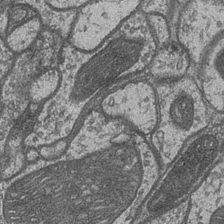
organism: Drosophila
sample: Optic medulla